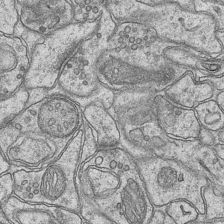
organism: Mouse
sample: CA1 Hippocampus